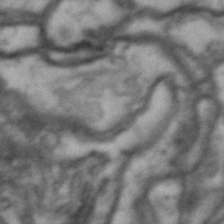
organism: Drosophila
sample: Brain